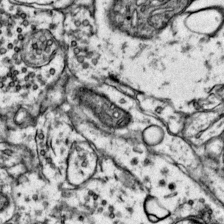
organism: Mouse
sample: Primary visual cortex